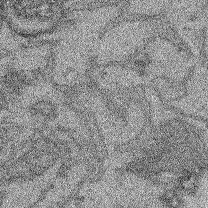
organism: Human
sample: HeLa cells